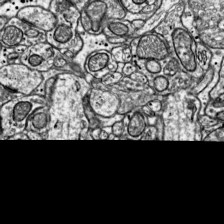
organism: Mouse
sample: Visual Cortex